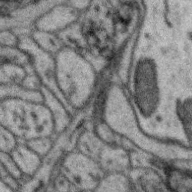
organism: Zebra finch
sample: Brain